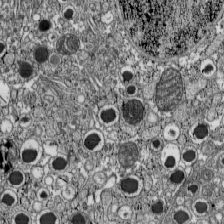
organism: C57BL Mouse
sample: Pancreatic islet